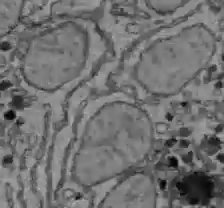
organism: C57BL Mouse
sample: Liver